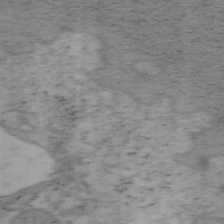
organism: Mouse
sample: OT-I killer T cells with ID8 ovarian cancer cells